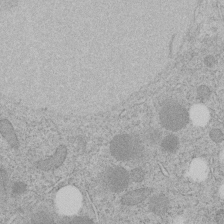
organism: C. elegans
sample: C. elegans embryo early stage